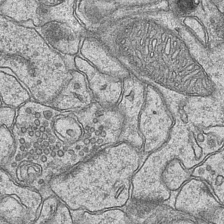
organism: Mouse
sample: CA1 Hippocampus